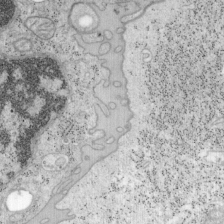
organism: Mouse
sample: OT-I killer T cells with ID8 ovarian cancer cells